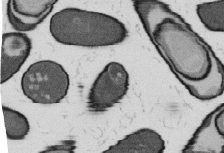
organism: B. subtilis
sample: Bacterial spore